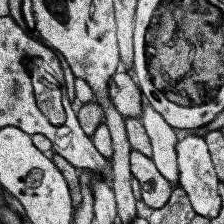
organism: Human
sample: Temporal Lobe